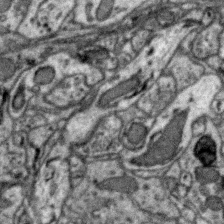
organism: Zebra finch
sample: Brain